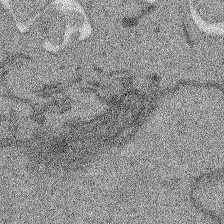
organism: Human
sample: HeLa cells